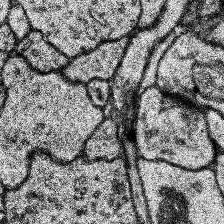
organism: Human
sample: Temporal Lobe